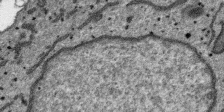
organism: Human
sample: Lung epithelial cells, uninfected (mock) control